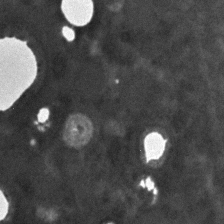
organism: C. elegans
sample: C. elegans embryo